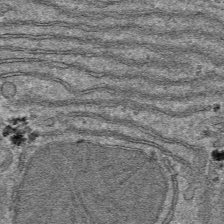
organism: Mouse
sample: Mouse hepatocytes